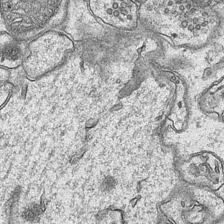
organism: Mouse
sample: CA1 Hippocampus